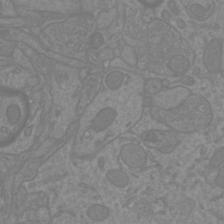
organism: Mouse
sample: Cortical neurons